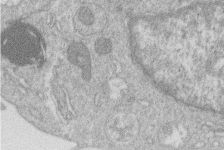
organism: Human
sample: Macrophage cells